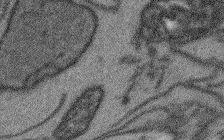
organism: Arabidopsis thaliana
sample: Root tip